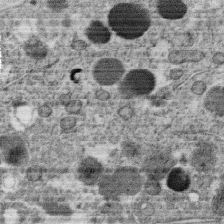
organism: C. elegans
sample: C. elegans oocyte; sperm cells